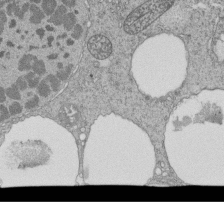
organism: Tetrahymena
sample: Cilia in tetrahymena